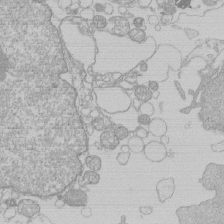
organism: Human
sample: Macrophage cells